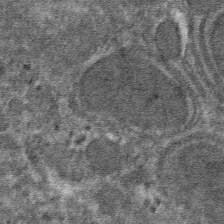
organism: Mouse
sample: Mouse hepatocytes